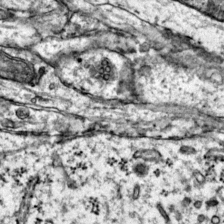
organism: Mouse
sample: Primary visual cortex